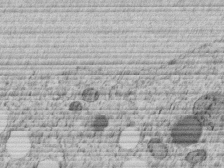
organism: C. elegans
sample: C. elegans embryo early stage